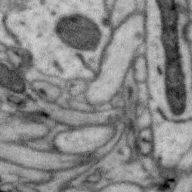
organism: Zebra finch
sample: Brain